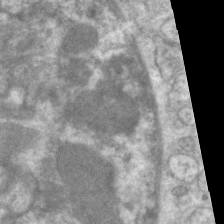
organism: C. elegans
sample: Pharynx